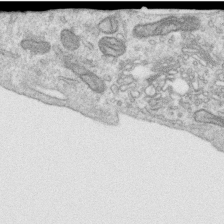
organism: Human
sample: Centriole in RPE cells